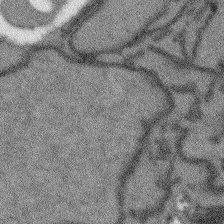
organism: Arabidopsis thaliana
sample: Root tip